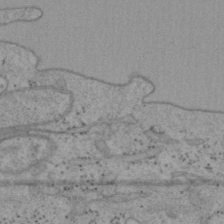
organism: Human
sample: HeLa cells